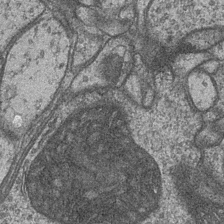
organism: Drosophila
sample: Optic medulla